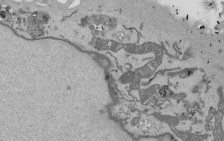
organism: Mouse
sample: ED-1 cell nuclei; centrioles